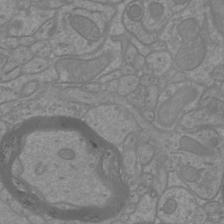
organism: Mouse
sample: Cortical neurons